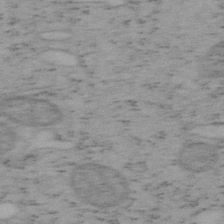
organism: Mouse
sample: OT-I killer T cells with ID8 ovarian cancer cells